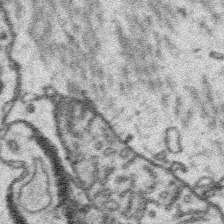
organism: Platynereis dumerilii